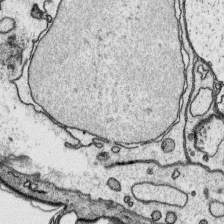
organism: Platynereis dumerilii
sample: Parapodia